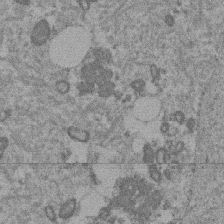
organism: Mouse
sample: Dividing mouse embryo 1 cell stage